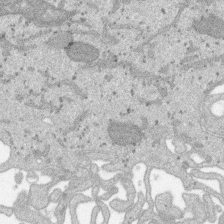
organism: Human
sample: Lung epithelial cells infected with SARS-CoV-2